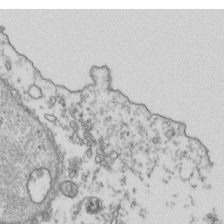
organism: Human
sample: Activated Jurkat CD4+ T cells